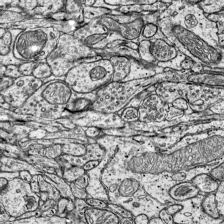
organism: Mouse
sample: Visual Cortex